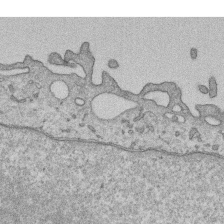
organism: Human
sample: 1205lu cells